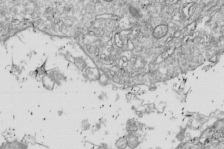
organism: Drosophila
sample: Cell division; meiosis; drosophila spermatocytes